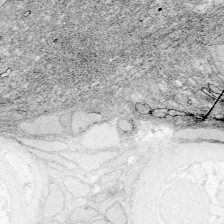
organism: Zebrafish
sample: Whole-Brain